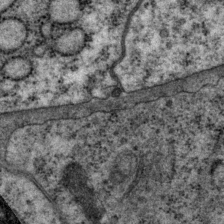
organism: P. pacificus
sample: Pharynx